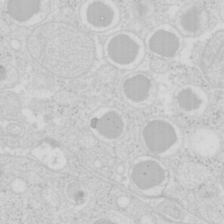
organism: Mouse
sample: Pancreas